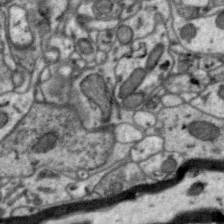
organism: Zebra finch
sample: Brain